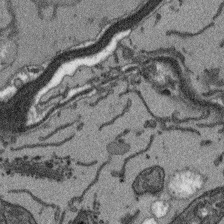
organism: Arabidopsis thaliana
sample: Root tip